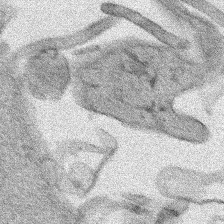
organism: Human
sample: Mitochondria in HCT116 cells